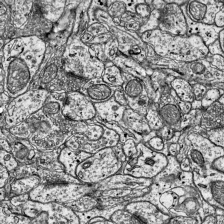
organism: Mouse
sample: Visual Cortex